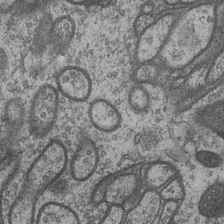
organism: Drosophila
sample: Optic medulla